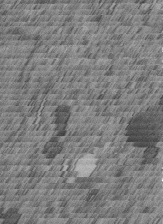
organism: C. elegans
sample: C. elegans embryo early stage